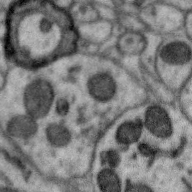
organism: Zebra finch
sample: Brain